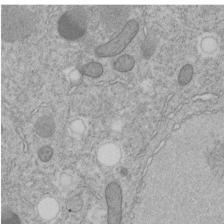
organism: C. elegans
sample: C. elegans embryo early stage